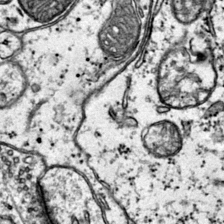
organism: Mouse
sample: Primary visual cortex